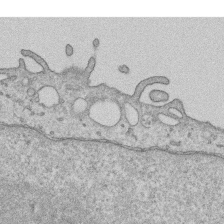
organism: Human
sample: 1205lu cells